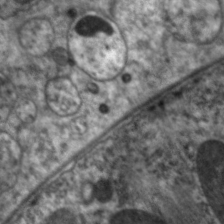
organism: C. elegans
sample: Pharynx